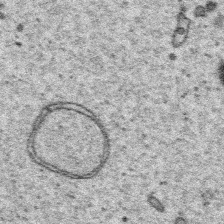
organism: Platynereis dumerilii